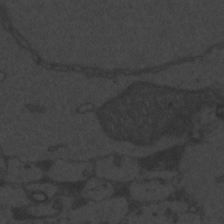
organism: Zebrafish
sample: Macrophage infected with Toxoplasma gondii